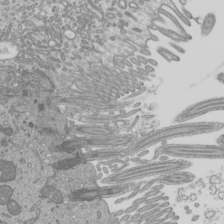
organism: Mouse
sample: Cilia; mouse epididymis